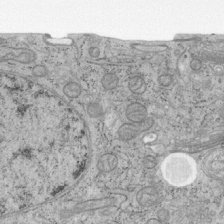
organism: Human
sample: HeLa cells